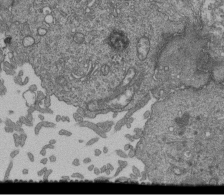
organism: Human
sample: Retinal organoid Rod and Cone cells